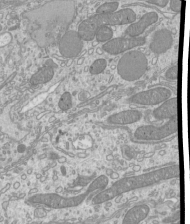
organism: Mouse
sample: Cilia; mouse epididymis